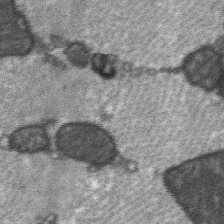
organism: C57BL Mouse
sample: Soleus